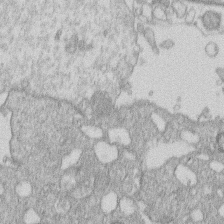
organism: Human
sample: Macrophage cells